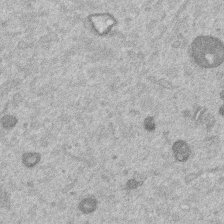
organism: Mouse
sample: Dividing mouse embryo 1 cell stage